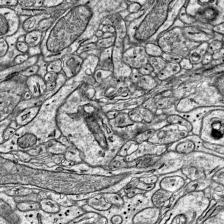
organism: Mouse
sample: Visual Cortex